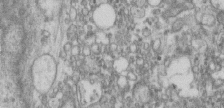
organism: Human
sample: Centriole in RPE cells